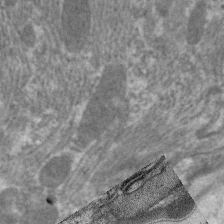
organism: C. elegans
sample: Pharynx